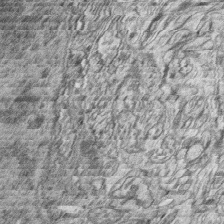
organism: Zebrafish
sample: synaptic ribbons in rod cells and cone cells